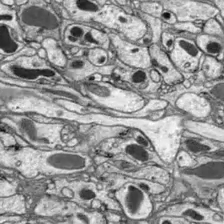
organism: Drosophila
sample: Optic lobe